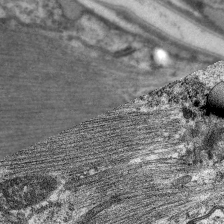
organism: C. elegans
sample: Pharynx